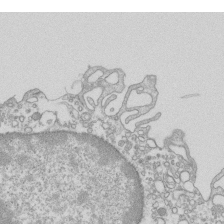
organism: Mouse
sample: Macrophages